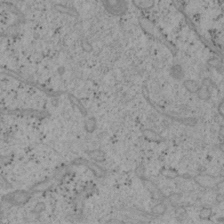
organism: Human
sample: HeLa cells